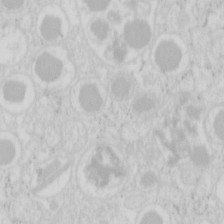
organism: Mouse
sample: Pancreas